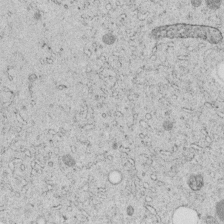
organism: C. elegans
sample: C. elegans embryo early stage